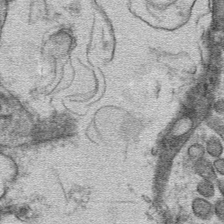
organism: Mouse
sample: Mouse hepatocytes